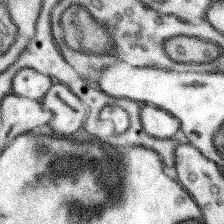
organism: Mouse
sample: Somatosensory cortex neuropil